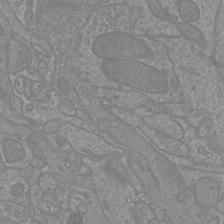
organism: Mouse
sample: Cortical neurons